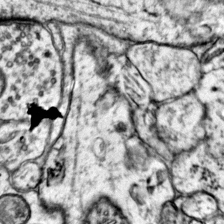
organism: Mouse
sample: Primary visual cortex